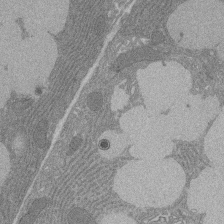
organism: Rat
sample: Salivary granule